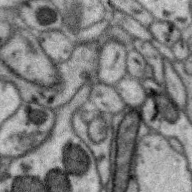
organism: Zebra finch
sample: Brain